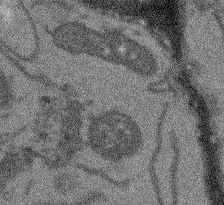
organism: Arabidopsis thaliana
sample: Root tip